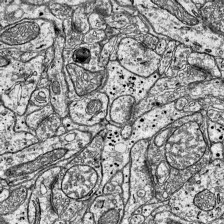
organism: Mouse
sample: Visual Cortex